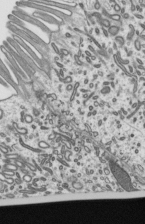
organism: Mouse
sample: Mouse epididymis efferent ductule cilia